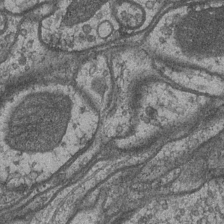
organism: Drosophila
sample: Optic medulla